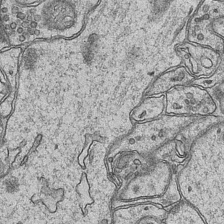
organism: Mouse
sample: CA1 Hippocampus